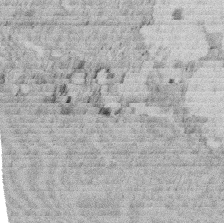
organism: Rat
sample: Salivary granule